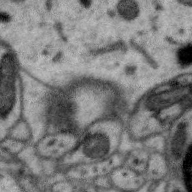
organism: Zebra finch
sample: Brain